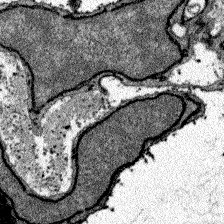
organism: Zebrafish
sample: Larval olfactory bulb